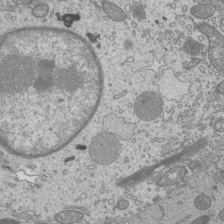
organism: Mouse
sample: Cilia; mouse epididymis